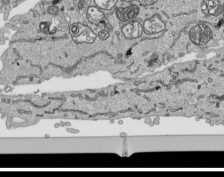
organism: Human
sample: Mitochondria in HCT116 cells